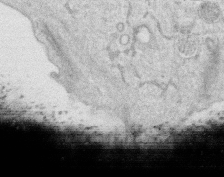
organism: Human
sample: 1205lu cells